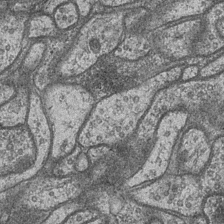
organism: Drosophila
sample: Optic medulla